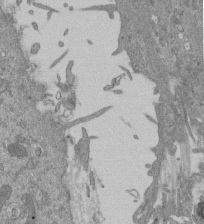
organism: Mouse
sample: ED-1 cell nuclei; centrioles